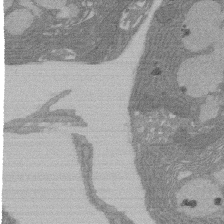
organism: Rat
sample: Salivary granule